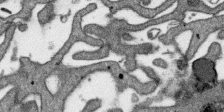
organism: Human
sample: Lung epithelial cells, uninfected (mock) control